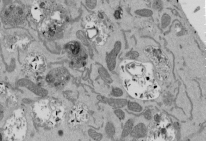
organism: Mouse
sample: ED-1 cell nuclei; centrioles